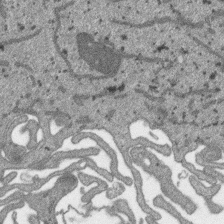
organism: Human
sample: Lung epithelial cells infected with SARS-CoV-2